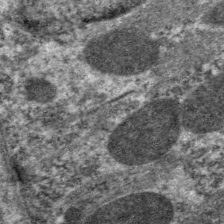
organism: C. elegans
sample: Pharynx